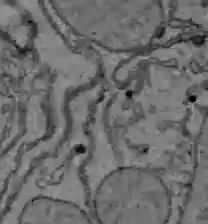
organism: C57BL Mouse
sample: Liver